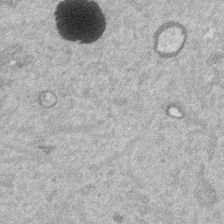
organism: Mouse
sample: Dividing mouse embryo 1 cell stage